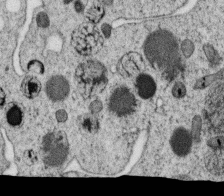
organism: C. elegans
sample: C. elegans oocyte; sperm cells